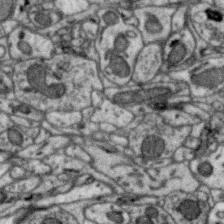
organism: Zebra finch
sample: Brain